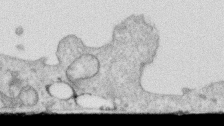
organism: Human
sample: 1205lu cells